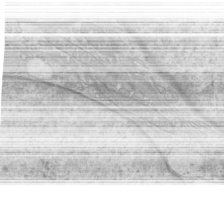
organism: Mouse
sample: Cilia; mouse epididymis